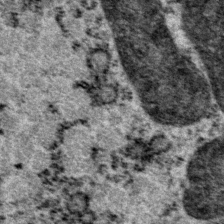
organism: P. pacificus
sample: Pharynx